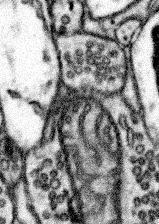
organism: Mouse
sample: Somatosensory cortex neuropil